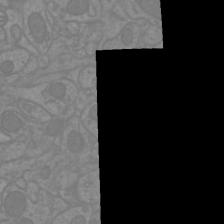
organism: Mouse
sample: Cortical neurons